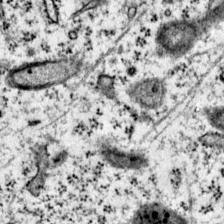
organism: Mouse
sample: Primary visual cortex